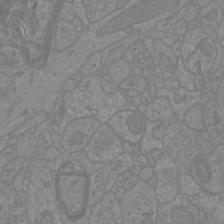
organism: Mouse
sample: Cortical neurons